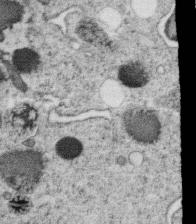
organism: C. elegans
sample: C. elegans oocyte; sperm cells